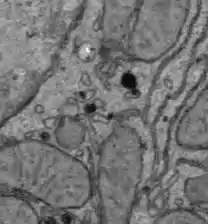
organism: C57BL Mouse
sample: Liver